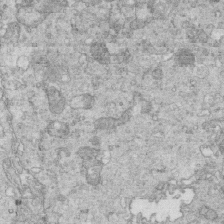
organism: Mouse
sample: Multiciliated cells